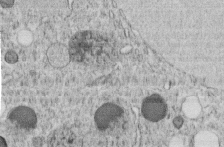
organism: C. elegans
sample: C. elegans embryo early stage